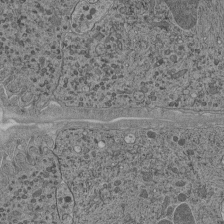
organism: C. elegans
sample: C. elegans pharynx